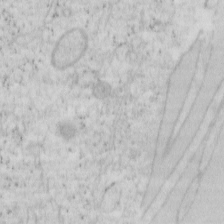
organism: Human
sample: HeLa cells